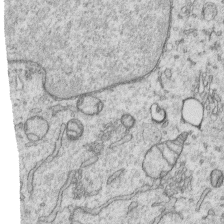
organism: Human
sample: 1205lu cells